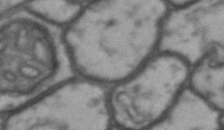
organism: Drosophila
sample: Brain